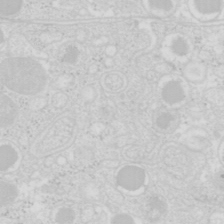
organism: Mouse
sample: Pancreas